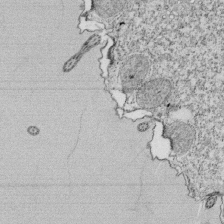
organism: Tetrahymena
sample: Cilia in tetrahymena